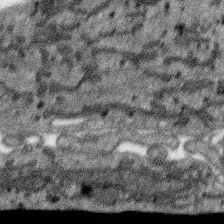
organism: Human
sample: Lung epithelial cells infected with SARS-CoV-2